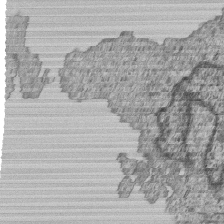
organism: Human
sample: MDA-MB-231 cells